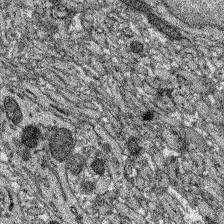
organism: Zebrafish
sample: Larval olfactory bulb